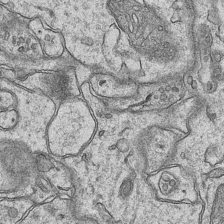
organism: Mouse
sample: CA1 Hippocampus